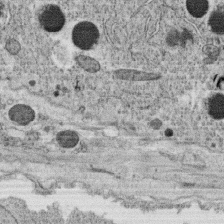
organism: C. elegans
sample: C. elegans oocyte; sperm cells